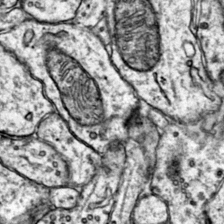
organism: Mouse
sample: Primary visual cortex